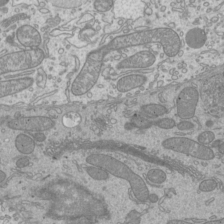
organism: Mouse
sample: Cilia; mouse epididymis